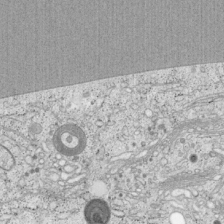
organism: African green monkey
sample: COS-7 cells